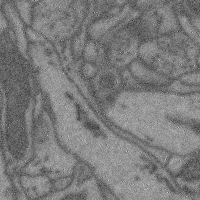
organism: Mouse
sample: Cerebral cortex